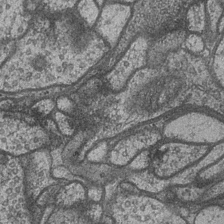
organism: Drosophila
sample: Optic medulla